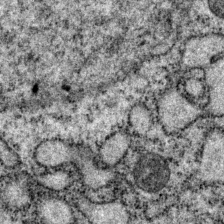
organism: P. pacificus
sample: Pharynx